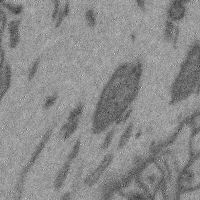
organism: Mouse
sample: Cerebral cortex